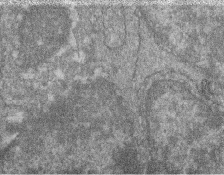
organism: Zebrafish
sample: Cilia; retinal pigment epithelium